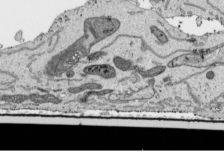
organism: Human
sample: Mitochondria in HCT116 cells